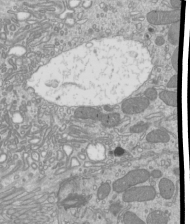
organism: Mouse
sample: Cilia; mouse epididymis